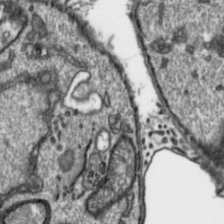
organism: Toxoplasma gondii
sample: Parasites in a vacuole inside a host cell